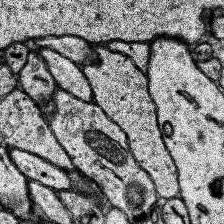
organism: Human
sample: Temporal Lobe